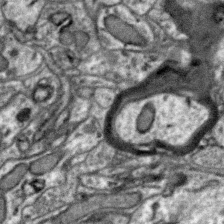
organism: Zebra finch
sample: Brain